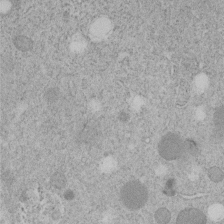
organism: C. elegans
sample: C. elegans embryo early stage